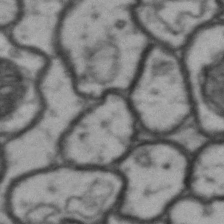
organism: Drosophila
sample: Brain